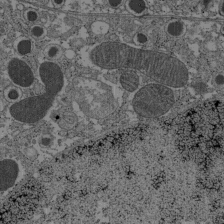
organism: C57BL Mouse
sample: Pancreatic islet